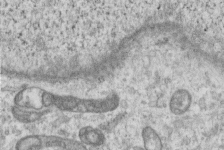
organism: Human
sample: Centriole in RPE cells